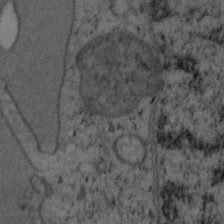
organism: Human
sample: HeLa cells